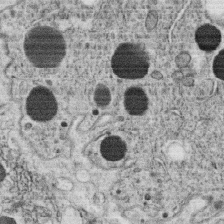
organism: C. elegans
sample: C. elegans oocyte; sperm cells